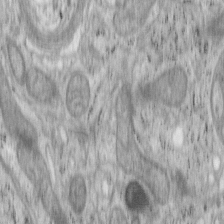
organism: Human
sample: HeLa cells